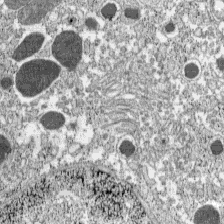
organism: C57BL Mouse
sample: Pancreatic islet